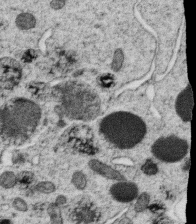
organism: C. elegans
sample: C. elegans oocyte; sperm cells